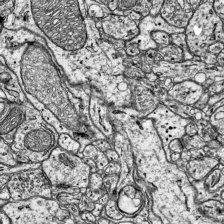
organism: Mouse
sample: Visual Cortex